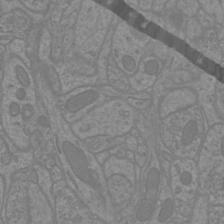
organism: Mouse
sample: Cortical neurons